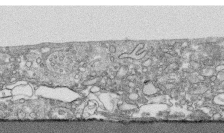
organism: Human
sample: CRL-1474